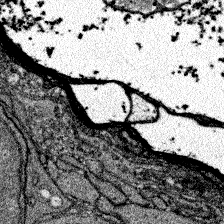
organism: Zebrafish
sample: Larval olfactory bulb